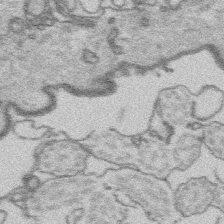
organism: Platynereis dumerilii